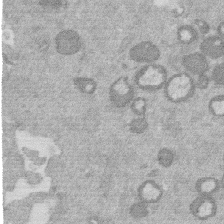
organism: Mouse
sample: Dividing mouse embryo 1 cell stage